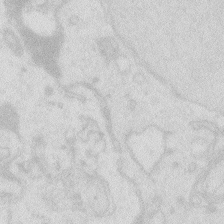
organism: Zebrafish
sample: Macrophage